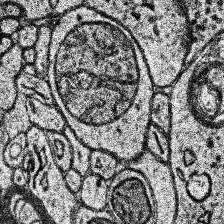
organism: Human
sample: Temporal Lobe